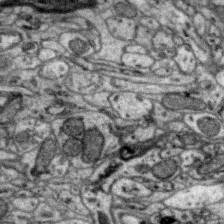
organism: Zebra finch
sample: Brain